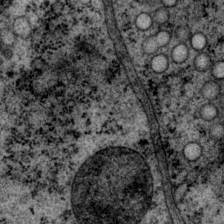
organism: P. pacificus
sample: Pharynx